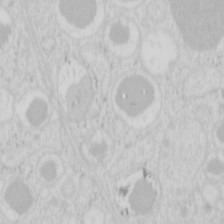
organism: Mouse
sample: Pancreas